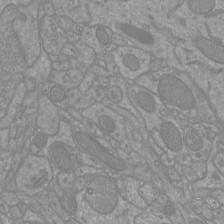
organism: Mouse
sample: Cortical neurons